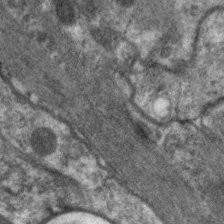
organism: C. elegans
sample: Pharynx